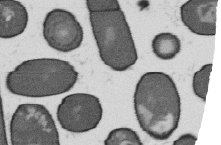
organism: B. subtilis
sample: Bacterial spore